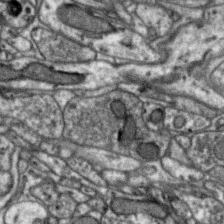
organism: Zebra finch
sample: Brain